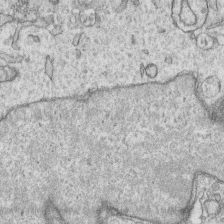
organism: Human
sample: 1205lu cells